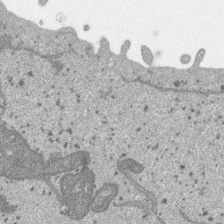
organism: Human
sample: Lung epithelial cells infected with SARS-CoV-2